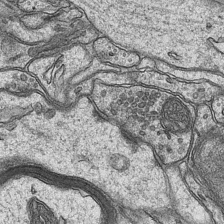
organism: Mouse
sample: CA1 Hippocampus